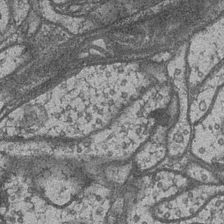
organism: Drosophila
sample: Optic medulla